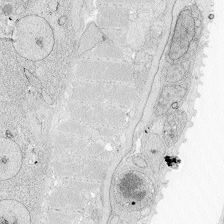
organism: Zebrafish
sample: Whole-Brain